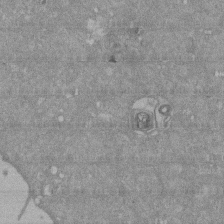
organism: Mouse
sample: ED-1 cell nuclei; centrioles